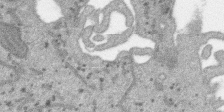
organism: Human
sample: Lung epithelial cells infected with SARS-CoV-2